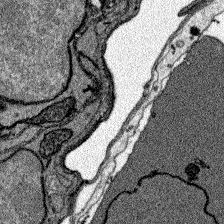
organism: Zebrafish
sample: Larval olfactory bulb